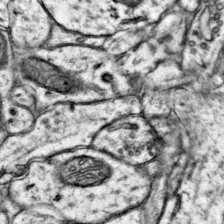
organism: Mouse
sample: Primary visual cortex